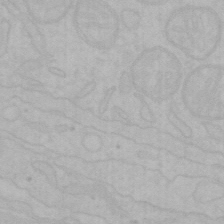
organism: Mouse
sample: Choroid plexus